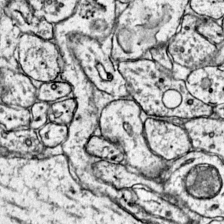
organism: Mouse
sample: Primary visual cortex